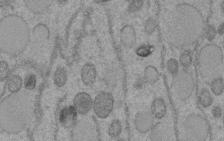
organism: C. elegans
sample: C. elegans embryo early stage